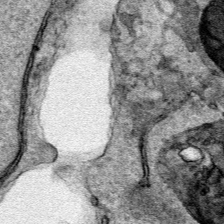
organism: Human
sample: Mitochondria in HCT116 cells